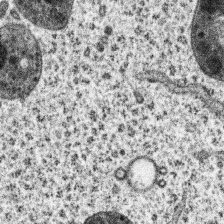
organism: Human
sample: HeLa cells